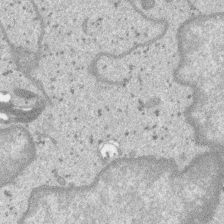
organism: Human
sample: Lung epithelial cells infected with SARS-CoV-2